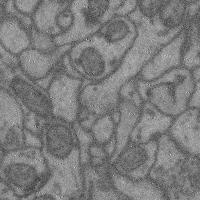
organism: Mouse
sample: Cerebral cortex